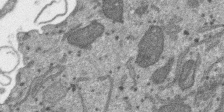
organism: Human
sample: Lung epithelial cells infected with SARS-CoV-2